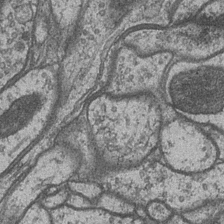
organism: Drosophila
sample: Optic medulla